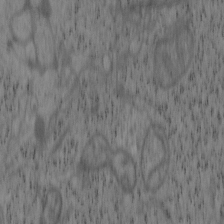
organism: Human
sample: HeLa cells